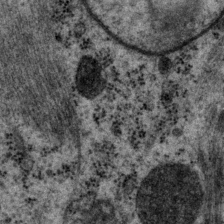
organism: P. pacificus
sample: Pharynx